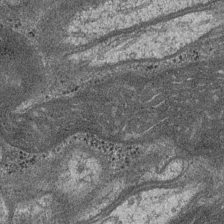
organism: Drosophila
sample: Optic medulla